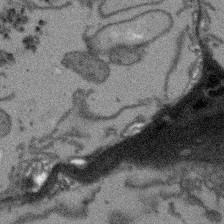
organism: Arabidopsis thaliana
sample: Root tip